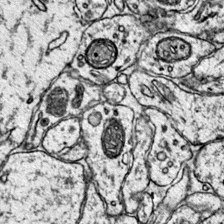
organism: Mouse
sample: Primary visual cortex